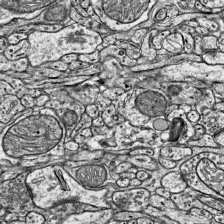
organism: Mouse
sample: Visual Cortex